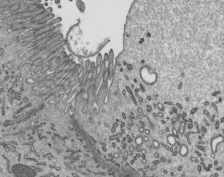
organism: Mouse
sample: Mouse epididymis efferent ductule cilia